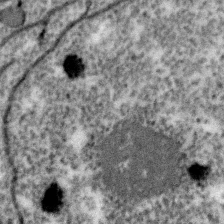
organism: Zebra finch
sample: Brain